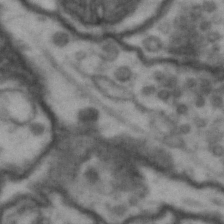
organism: Drosophila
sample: Brain